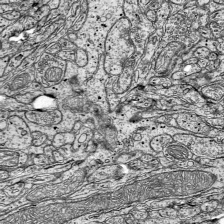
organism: Mouse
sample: Visual Cortex